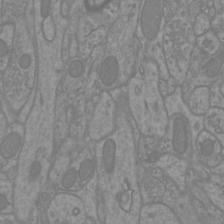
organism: Mouse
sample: Cortical neurons